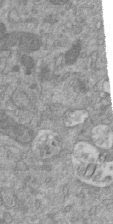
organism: Mouse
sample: ED-1 cell nuclei; centrioles